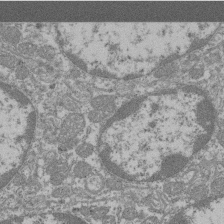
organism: Mouse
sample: Glomerulus